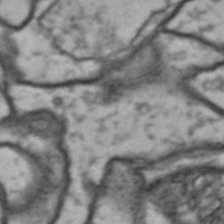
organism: Drosophila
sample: Brain